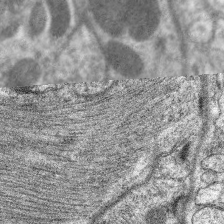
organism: C. elegans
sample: Pharynx